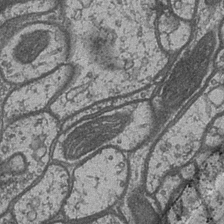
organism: Drosophila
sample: Optic medulla